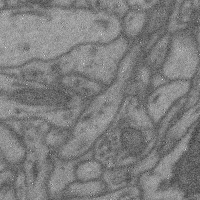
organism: Mouse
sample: Cerebral cortex